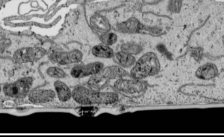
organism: Human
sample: Mitochondria in HCT116 cells